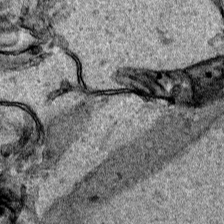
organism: Human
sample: Mitochondria in HCT116 cells